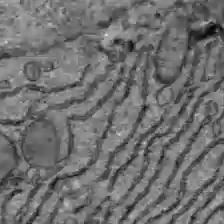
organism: C57BL Mouse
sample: Liver